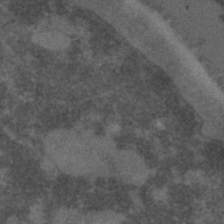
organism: C. elegans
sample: C. elegans embryo